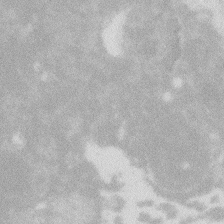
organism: Zebrafish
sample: Macrophage